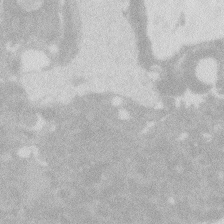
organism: Zebrafish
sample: Macrophage